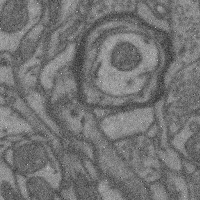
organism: Mouse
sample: Cerebral cortex